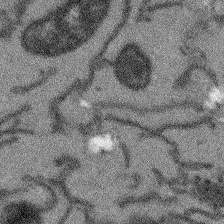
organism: Arabidopsis thaliana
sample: Root tip